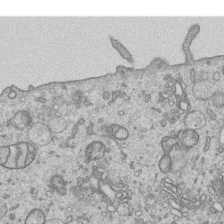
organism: Human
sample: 1205lu cells